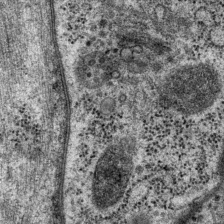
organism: P. pacificus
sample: Pharynx